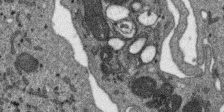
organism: Human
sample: Lung epithelial cells infected with SARS-CoV-2